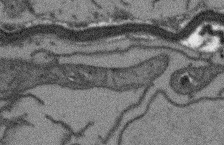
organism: Arabidopsis thaliana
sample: Root tip